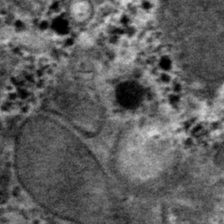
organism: Mouse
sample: Mouse hepatocytes